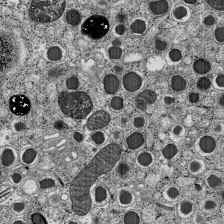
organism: C57BL Mouse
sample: Pancreatic islet